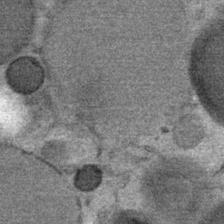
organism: Mouse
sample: Mouse Salivary gland